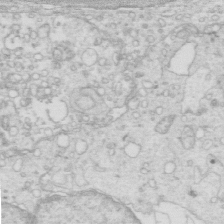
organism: Mouse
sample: Multiciliated cells